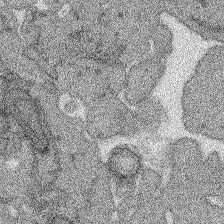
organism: Human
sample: HeLa cells